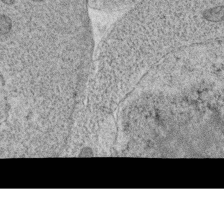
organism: C. elegans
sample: C. elegans oocyte; sperm cells